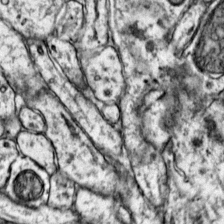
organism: Mouse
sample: Primary visual cortex